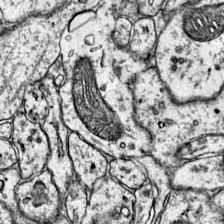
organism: Mouse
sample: Primary visual cortex